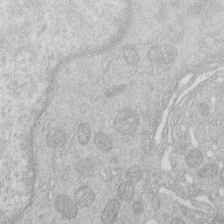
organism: Human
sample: Macrophage cells